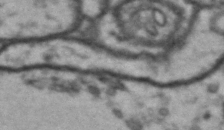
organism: Drosophila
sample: Brain